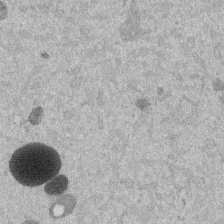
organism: Mouse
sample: Dividing mouse embryo 1 cell stage